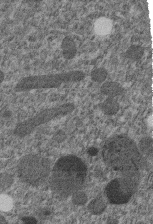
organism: C. elegans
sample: C. elegans embryo early stage